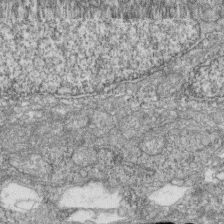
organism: Zebrafish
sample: Cilia; retinal pigment epithelium